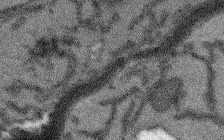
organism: Arabidopsis thaliana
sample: Root tip